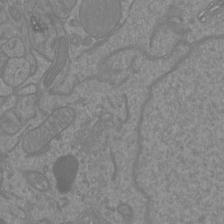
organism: Mouse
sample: Cortical neurons